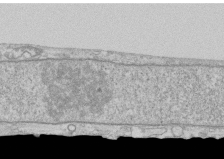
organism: Human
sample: CRL-1474